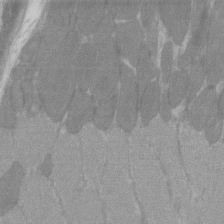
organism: C57BL Mouse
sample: Tibialis anterior muscle cell